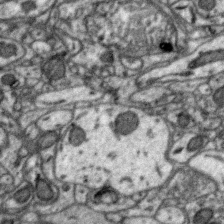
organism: Zebra finch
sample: Brain